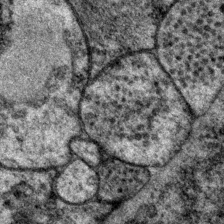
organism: P. pacificus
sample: Pharynx